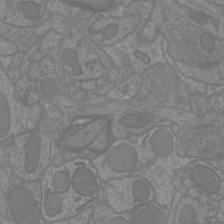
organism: Mouse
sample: Cortical neurons